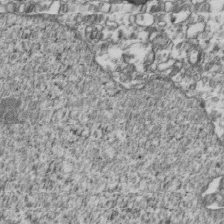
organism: Human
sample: Activated Jurkat CD4+ T cells